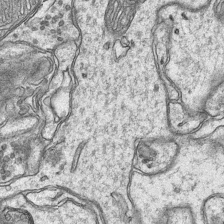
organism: Mouse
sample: CA1 Hippocampus